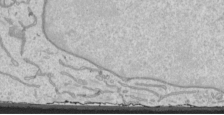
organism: Human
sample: Mitochondria in HCT116 cells